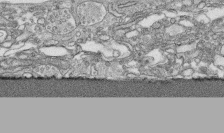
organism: Human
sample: CRL-1474